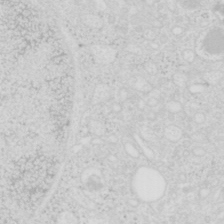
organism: Mouse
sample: Pancreas